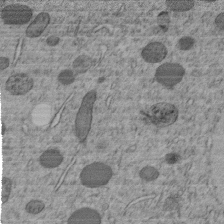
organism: C. elegans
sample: C. elegans embryo early stage